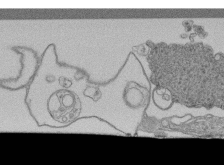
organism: Human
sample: Retinal organoid Rod and Cone cells